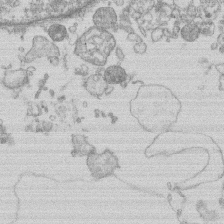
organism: Human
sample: Macrophage cells